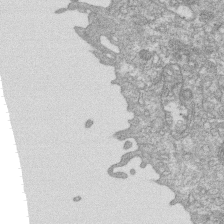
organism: Human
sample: HeLa cell HIV synapse